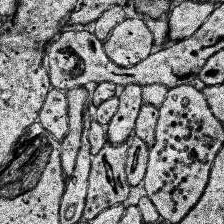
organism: Human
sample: Temporal Lobe